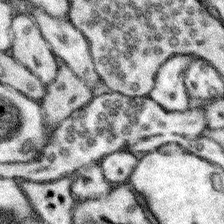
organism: Mouse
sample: Somatosensory cortex neuropil